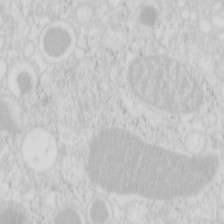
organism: Mouse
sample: Pancreas